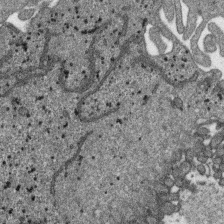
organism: Human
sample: Lung epithelial cells infected with SARS-CoV-2